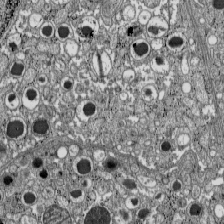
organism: C57BL Mouse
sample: Pancreatic islet